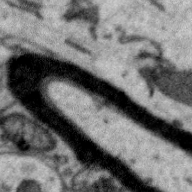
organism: Zebra finch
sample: Brain